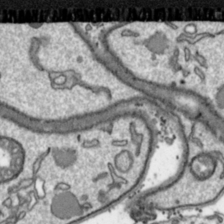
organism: Toxoplasma gondii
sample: Parasites in a vacuole inside a host cell